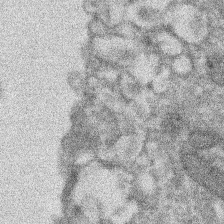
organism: Xenopus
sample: Cilia; centrioles in frog embryo cells